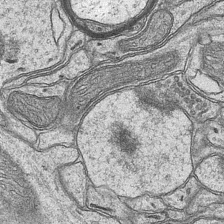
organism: Mouse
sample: CA1 Hippocampus